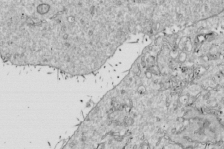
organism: Drosophila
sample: Cell division; meiosis; drosophila spermatocytes